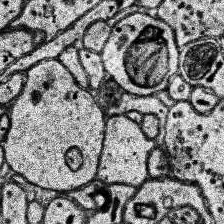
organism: Human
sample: Temporal Lobe